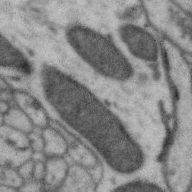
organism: Zebra finch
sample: Brain